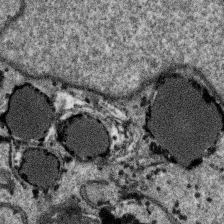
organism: Human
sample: Lung epithelial cells infected with SARS-CoV-2